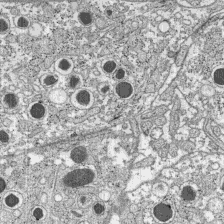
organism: C57BL Mouse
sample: Pancreatic islet